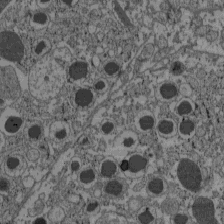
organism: C57BL Mouse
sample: Pancreatic islet